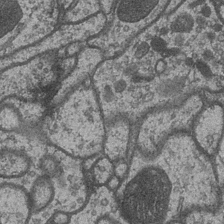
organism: Drosophila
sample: Optic medulla